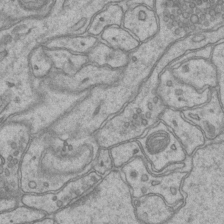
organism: Mouse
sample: CA1 Hippocampus